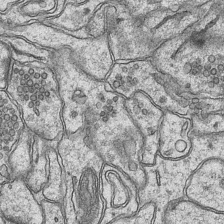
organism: Mouse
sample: CA1 Hippocampus